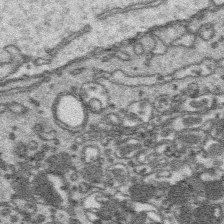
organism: Platynereis dumerilii